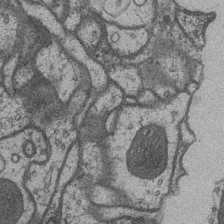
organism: Drosophila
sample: Optic medulla